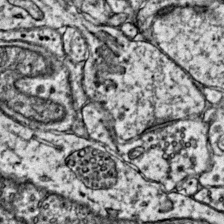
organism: Mouse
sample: Primary visual cortex